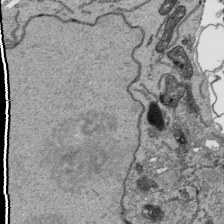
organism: Human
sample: Mitochondria in HCT116 cells